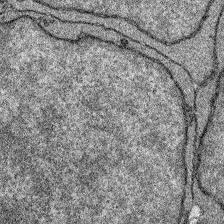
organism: Zebrafish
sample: Larval olfactory bulb